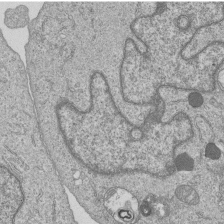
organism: Human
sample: MDA-MB-231 cells